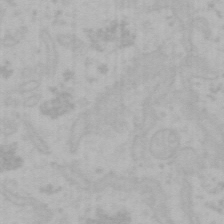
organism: Mouse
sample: Choroid plexus